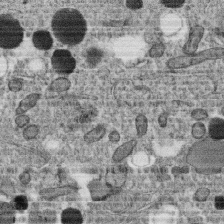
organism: C. elegans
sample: C. elegans oocyte; sperm cells